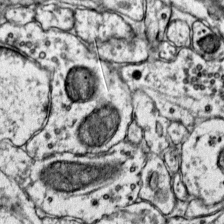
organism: Mouse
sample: Primary visual cortex